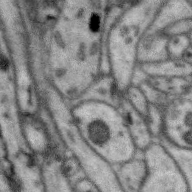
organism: Zebra finch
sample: Brain